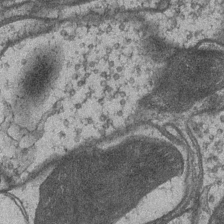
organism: Drosophila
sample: Optic medulla